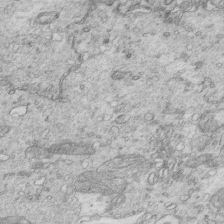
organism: Mouse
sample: Multiciliated cells